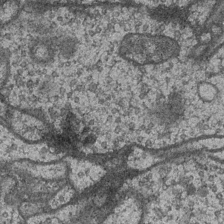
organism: Drosophila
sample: Optic medulla